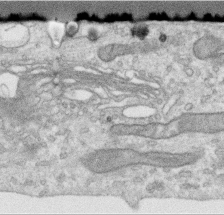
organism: Human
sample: Centriole in RPE cells